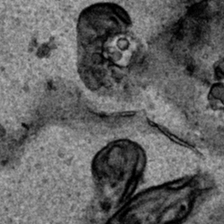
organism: Human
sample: Mitochondria in HCT116 cells